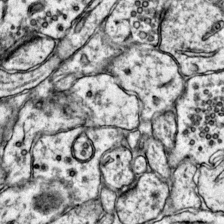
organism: Mouse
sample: Primary visual cortex